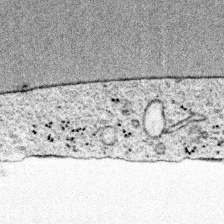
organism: Human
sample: HeLa cells